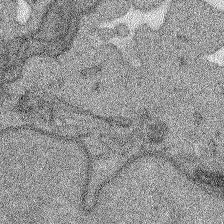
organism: Human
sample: HeLa cells